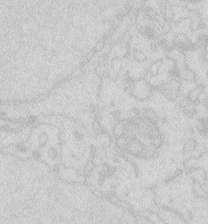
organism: Zebrafish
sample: Macrophage